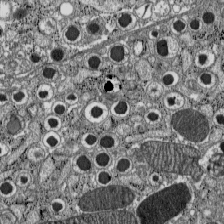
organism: C57BL Mouse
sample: Pancreatic islet